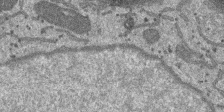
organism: Human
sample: Lung epithelial cells infected with SARS-CoV-2